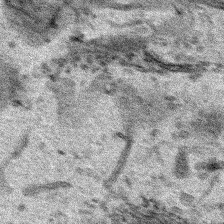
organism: Human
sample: Mitochondria in HCT116 cells